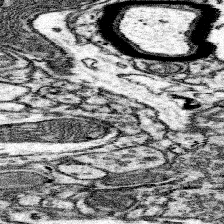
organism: Mouse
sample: Somatosensory cortex neuropil